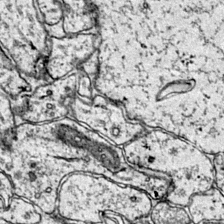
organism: Mouse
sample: Primary visual cortex